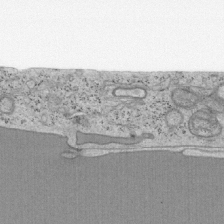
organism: Human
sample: HeLa cells